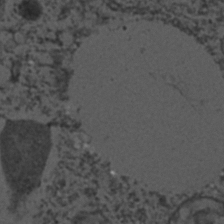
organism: C. elegans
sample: C. elegans embryo